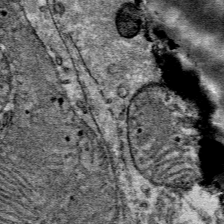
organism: Mouse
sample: Mouse Salivary gland